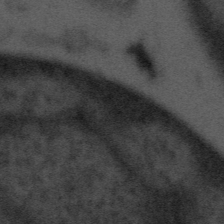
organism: Tuwongella immobilis